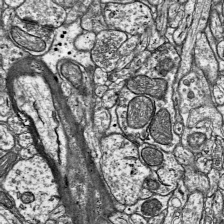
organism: Mouse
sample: Visual Cortex